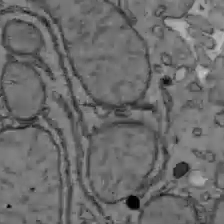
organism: C57BL Mouse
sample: Liver